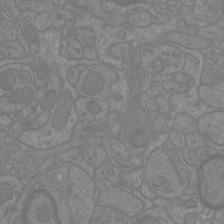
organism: Mouse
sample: Cortical neurons